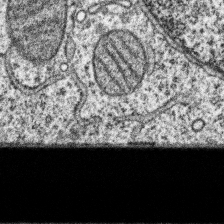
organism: Human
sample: HeLa cells